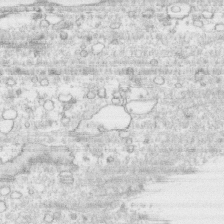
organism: Human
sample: CRL-1474